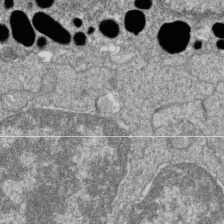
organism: Zebrafish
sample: Cilia; retinal pigment epithelium